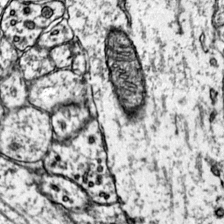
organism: Mouse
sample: Primary visual cortex